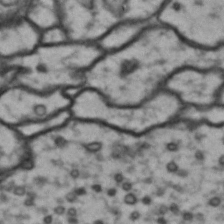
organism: Drosophila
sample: Brain